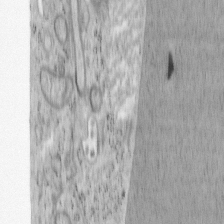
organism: Human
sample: HeLa cells